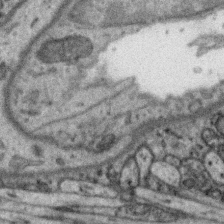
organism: Zebra finch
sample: Brain